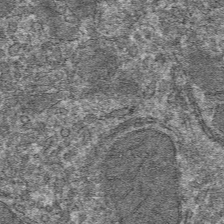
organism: Mouse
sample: Mouse hepatocytes